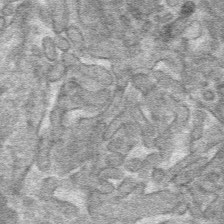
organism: Mouse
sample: Mouse hepatocytes